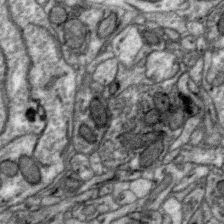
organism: Zebra finch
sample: Brain